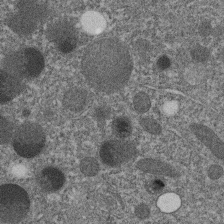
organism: C. elegans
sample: C. elegans embryo early stage